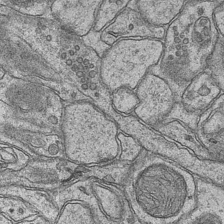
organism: Mouse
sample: CA1 Hippocampus